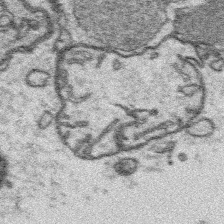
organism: Platynereis dumerilii